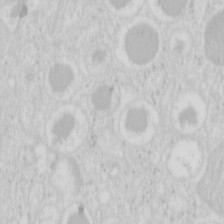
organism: Mouse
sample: Pancreas